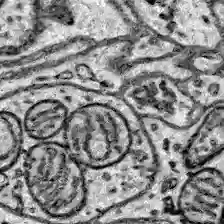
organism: Zebrafish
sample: Brain